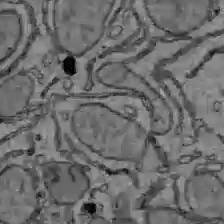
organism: C57BL Mouse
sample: Liver